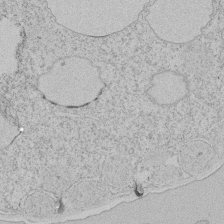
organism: Tetrahymena